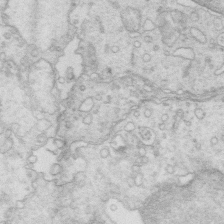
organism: Mouse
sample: Multiciliated cells